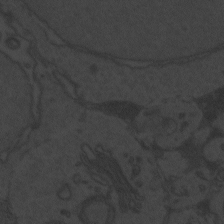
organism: Zebrafish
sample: Macrophage infected with Toxoplasma gondii